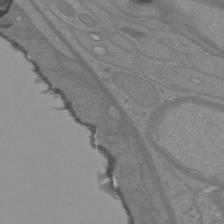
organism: Mouse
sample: Cortical neurons